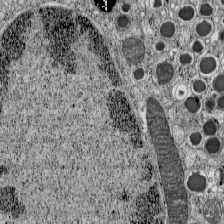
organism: C57BL Mouse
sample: Pancreatic islet